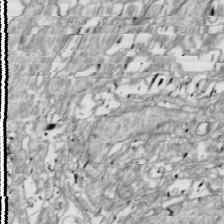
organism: Drosophila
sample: Cell division; meiosis; drosophila spermatocytes